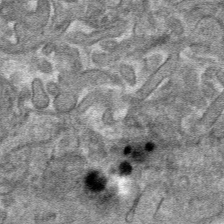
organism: Mouse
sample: Mouse hepatocytes